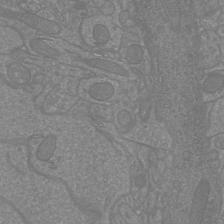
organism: Mouse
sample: Cortical neurons